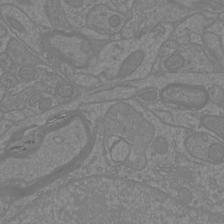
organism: Mouse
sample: Cortical neurons